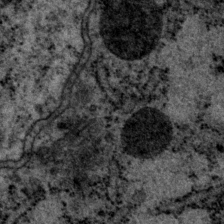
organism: P. pacificus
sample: Pharynx